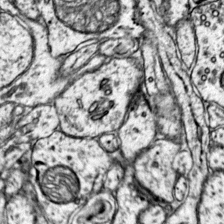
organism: Mouse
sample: Primary visual cortex